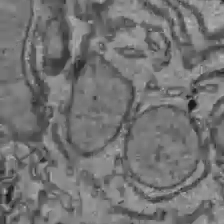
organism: C57BL Mouse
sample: Liver